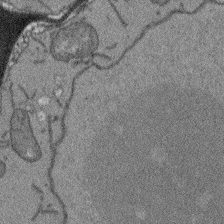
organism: Arabidopsis thaliana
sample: Root tip